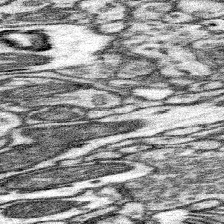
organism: Mouse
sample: Somatosensory cortex neuropil